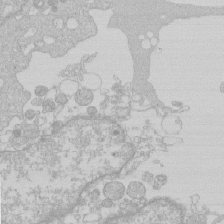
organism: Human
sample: Macrophage cells